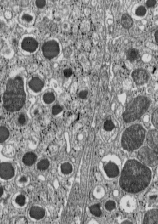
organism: C57BL Mouse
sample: Pancreatic islet